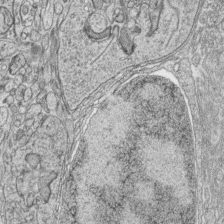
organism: Zebrafish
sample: synaptic ribbons in rod cells and cone cells